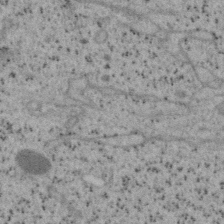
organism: Human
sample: HeLa cells